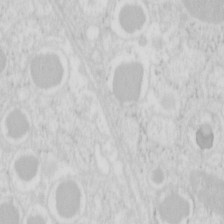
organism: Mouse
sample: Pancreas